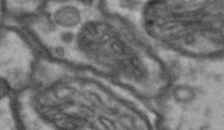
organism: Drosophila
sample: Brain